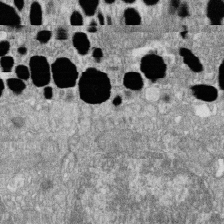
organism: Zebrafish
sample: Cilia; retinal pigment epithelium